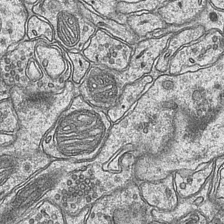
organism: Mouse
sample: CA1 Hippocampus